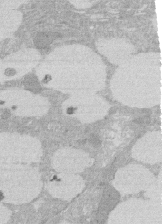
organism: Rat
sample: Salivary granule